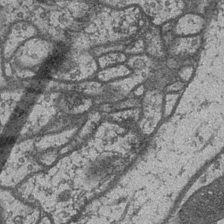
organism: Drosophila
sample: Optic medulla